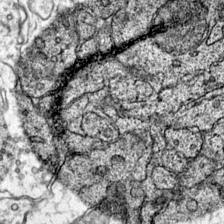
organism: Mouse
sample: Primary visual cortex